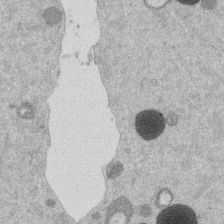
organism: Mouse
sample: Dividing mouse embryo 1 cell stage